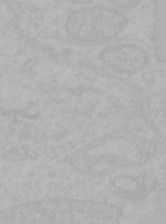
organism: Mouse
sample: Choroid plexus